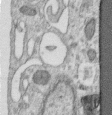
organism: Human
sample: Centriole in RPE cells